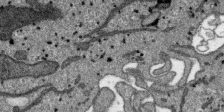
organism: Human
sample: Lung epithelial cells, uninfected (mock) control